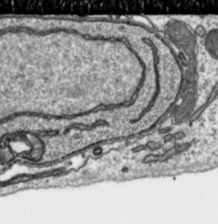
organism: Toxoplasma gondii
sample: Parasites in a vacuole inside a host cell